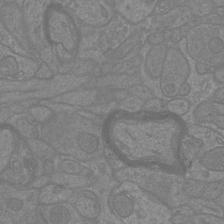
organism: Mouse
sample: Cortical neurons